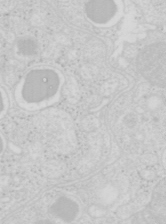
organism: Mouse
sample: Pancreas